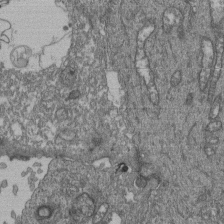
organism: Human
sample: Retinal organoid Rod and Cone cells